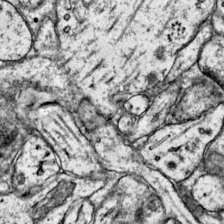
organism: Mouse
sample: Primary visual cortex